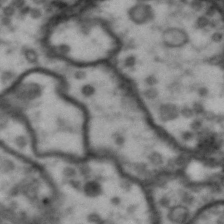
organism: Drosophila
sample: Brain